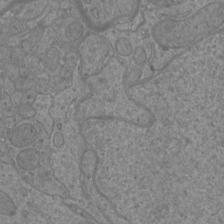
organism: Mouse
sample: Cortical neurons